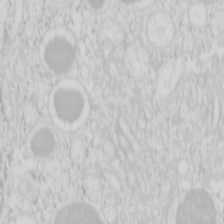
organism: Mouse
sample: Pancreas